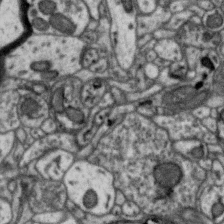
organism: Zebra finch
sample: Brain